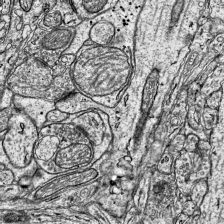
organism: Mouse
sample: Visual Cortex